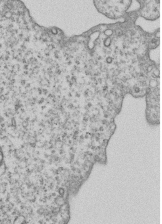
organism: Human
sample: MDA-MB-231 cells